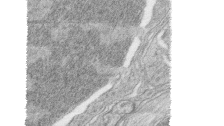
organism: Zebrafish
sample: synaptic ribbons in rod cells and cone cells